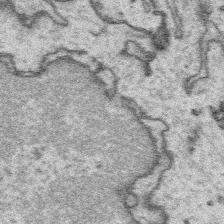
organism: Platynereis dumerilii